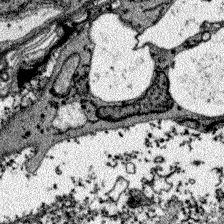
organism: Zebrafish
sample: Larval olfactory bulb